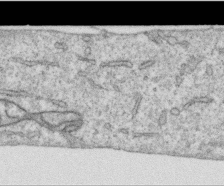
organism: Human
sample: Centriole in RPE cells